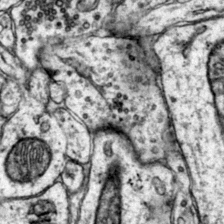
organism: Mouse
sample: Primary visual cortex